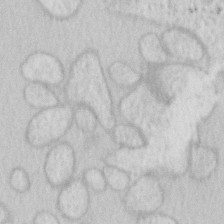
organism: Human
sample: HeLa cells